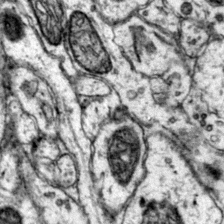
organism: Mouse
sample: Primary visual cortex